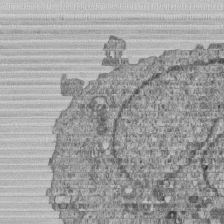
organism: Human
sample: MDA-MB-231 cells